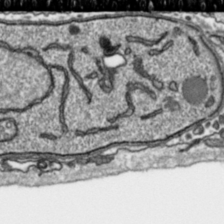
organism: Toxoplasma gondii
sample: Parasites in a vacuole inside a host cell